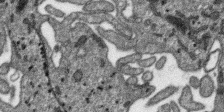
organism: Human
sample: Lung epithelial cells infected with SARS-CoV-2